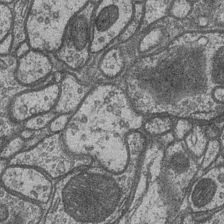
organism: Drosophila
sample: Optic medulla